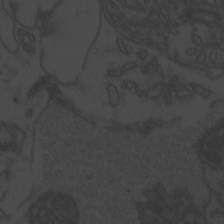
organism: Zebrafish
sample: Macrophage infected with Toxoplasma gondii